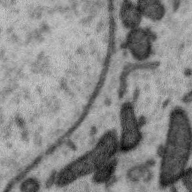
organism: Zebra finch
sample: Brain